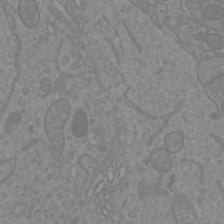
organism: Mouse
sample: Cortical neurons